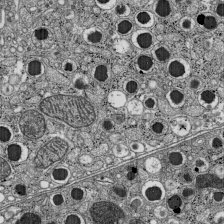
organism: C57BL Mouse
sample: Pancreatic islet